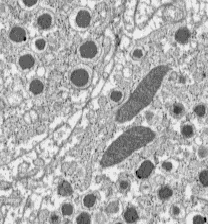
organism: C57BL Mouse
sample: Pancreatic islet